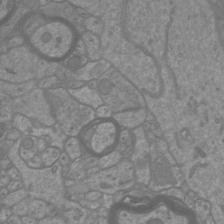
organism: Mouse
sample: Cortical neurons